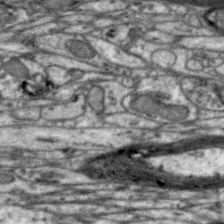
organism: Zebra finch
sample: Brain